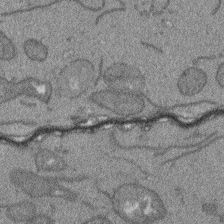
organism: Arabidopsis thaliana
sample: Root tip